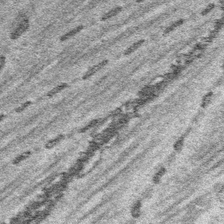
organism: Platynereis dumerilii